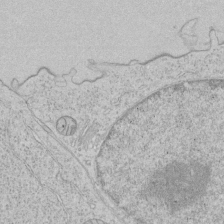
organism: Human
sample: Mitochondria in HCT116 cells